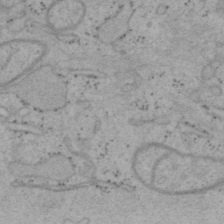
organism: Human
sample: HeLa cells